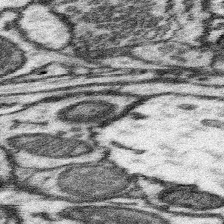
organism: Mouse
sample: Somatosensory cortex neuropil